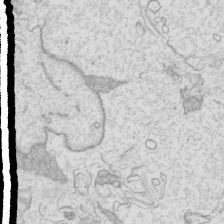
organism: Mouse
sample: Cilia; mouse epididymis